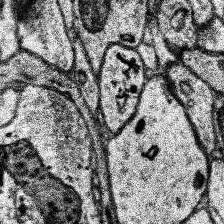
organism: Human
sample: Temporal Lobe